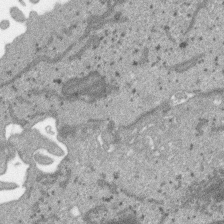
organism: Human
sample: Lung epithelial cells infected with SARS-CoV-2